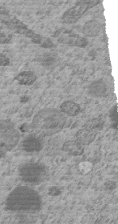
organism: C. elegans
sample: C. elegans embryo early stage